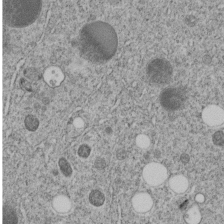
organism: C. elegans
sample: C. elegans embryo early stage